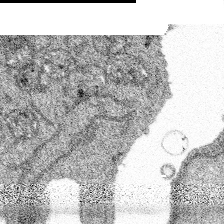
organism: Spongilla lacustris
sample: Multiple